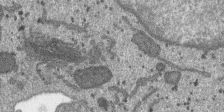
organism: Human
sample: Lung epithelial cells infected with SARS-CoV-2